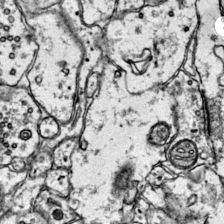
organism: Mouse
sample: Primary visual cortex